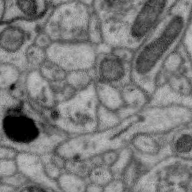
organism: Zebra finch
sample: Brain